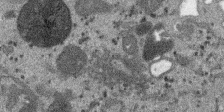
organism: Human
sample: Lung epithelial cells infected with SARS-CoV-2